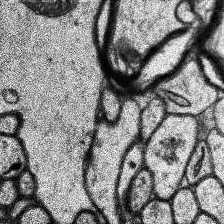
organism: Human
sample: Temporal Lobe